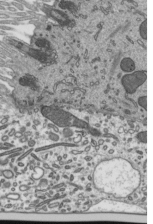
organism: Mouse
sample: Mouse epididymis efferent ductule cilia